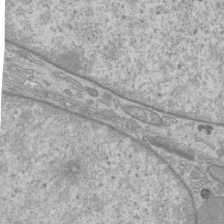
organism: Mouse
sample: Cilia; mouse epididymis